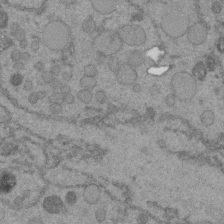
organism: C. elegans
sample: C. elegans embryo early stage